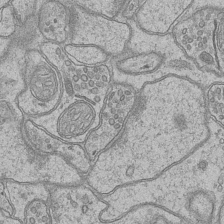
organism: Mouse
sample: CA1 Hippocampus